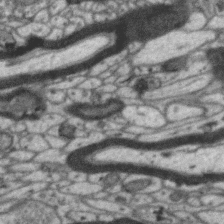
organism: Zebra finch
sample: Brain